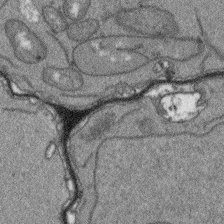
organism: Arabidopsis thaliana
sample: Root tip